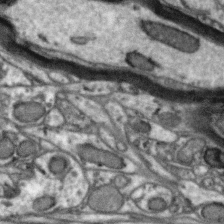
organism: Zebra finch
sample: Brain